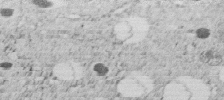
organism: C. elegans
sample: C. elegans embryo early stage